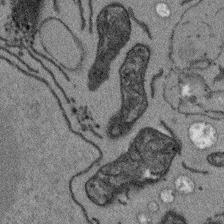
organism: Arabidopsis thaliana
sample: Root tip